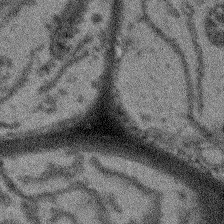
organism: Arabidopsis thaliana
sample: Root tip